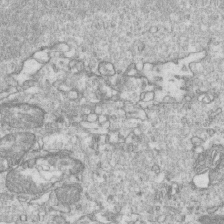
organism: Mouse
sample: Activated OT-1 CD8+ T cells